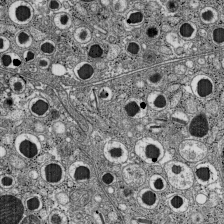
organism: C57BL Mouse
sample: Pancreatic islet